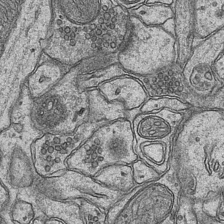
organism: Mouse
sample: CA1 Hippocampus